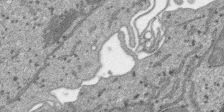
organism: Human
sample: Lung epithelial cells infected with SARS-CoV-2